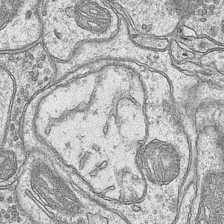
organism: Mouse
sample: CA1 Hippocampus